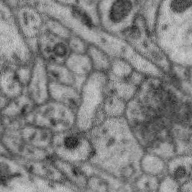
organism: Zebra finch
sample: Brain